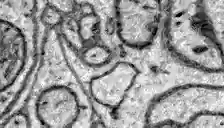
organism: Zebrafish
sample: Brain